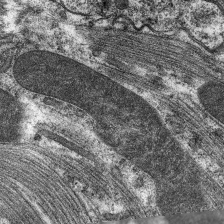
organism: C. elegans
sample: Pharynx